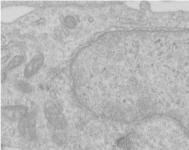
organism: Human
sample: Centriole in RPE cells